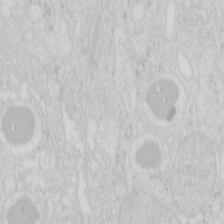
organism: Mouse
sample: Pancreas